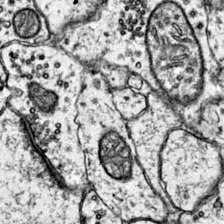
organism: Mouse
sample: Primary visual cortex